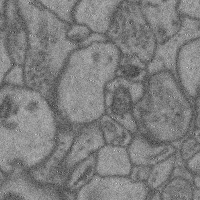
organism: Mouse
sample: Cerebral cortex